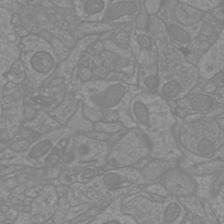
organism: Mouse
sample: Cortical neurons